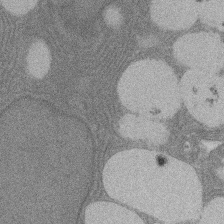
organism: Rat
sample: Salivary granule